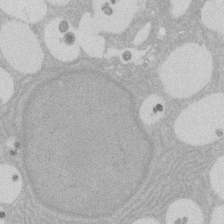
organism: Rat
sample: Salivary granule